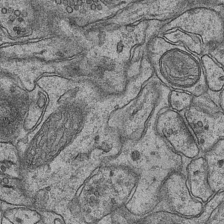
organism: Mouse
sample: CA1 Hippocampus